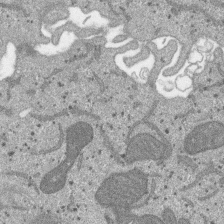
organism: Human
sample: Lung epithelial cells infected with SARS-CoV-2